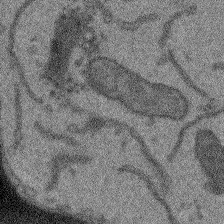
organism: Arabidopsis thaliana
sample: Root tip